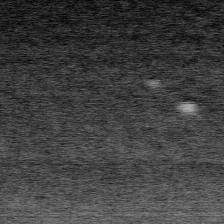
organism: Human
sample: HeLa cells